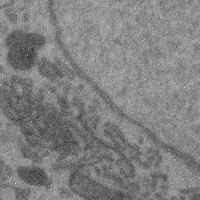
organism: Mouse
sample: Cerebral cortex